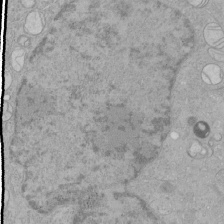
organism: Human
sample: Mitochondria in HCT116 cells